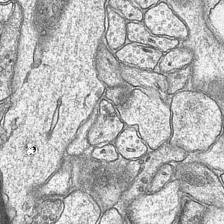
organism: Mouse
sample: CA1 Hippocampus